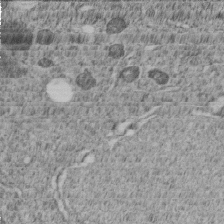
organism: C. elegans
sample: C. elegans embryo early stage